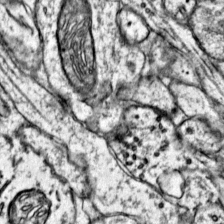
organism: Mouse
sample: Primary visual cortex